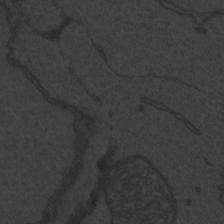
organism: Zebrafish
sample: Macrophage infected with Toxoplasma gondii